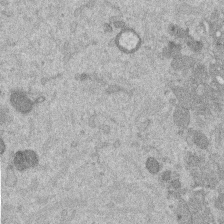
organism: Mouse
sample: Dividing mouse embryo 1 cell stage